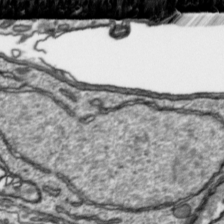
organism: Toxoplasma gondii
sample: Parasites in a vacuole inside a host cell